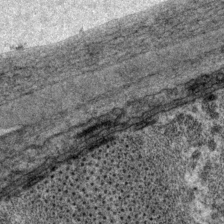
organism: P. pacificus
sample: Pharynx